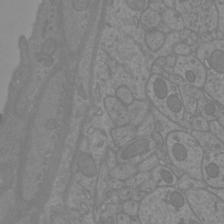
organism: Mouse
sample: Cortical neurons